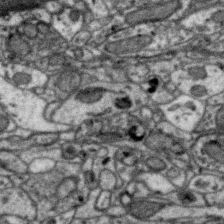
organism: Zebra finch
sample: Brain